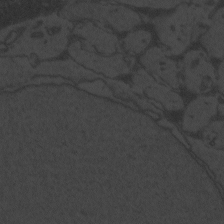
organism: Zebrafish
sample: Macrophage infected with Toxoplasma gondii